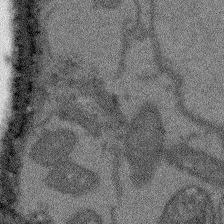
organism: Arabidopsis thaliana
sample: Root tip